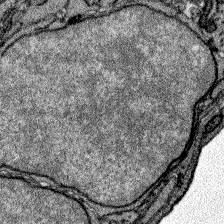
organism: Zebrafish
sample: Larval olfactory bulb